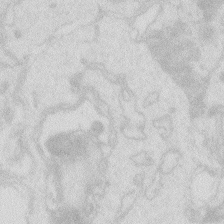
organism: Zebrafish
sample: Macrophage